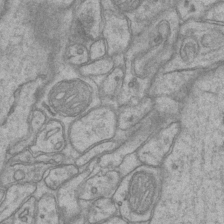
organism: Mouse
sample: CA1 Hippocampus